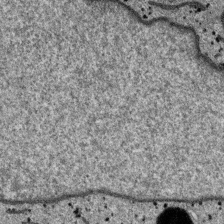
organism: Human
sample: Lung epithelial cells, uninfected (mock) control